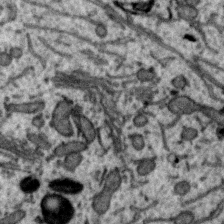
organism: Zebra finch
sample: Brain